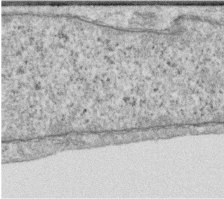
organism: Human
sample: Centriole in RPE cells